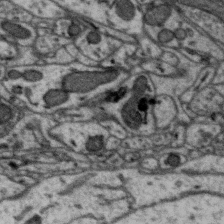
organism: Zebra finch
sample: Brain